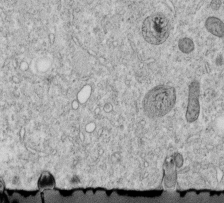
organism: C. elegans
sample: C. elegans embryo early stage